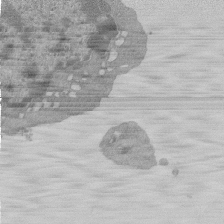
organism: Mouse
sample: Activated Pmel transgenic CD8+ T Cells